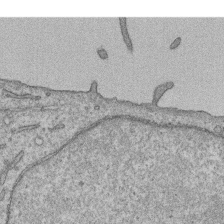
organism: Human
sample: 1205lu cells